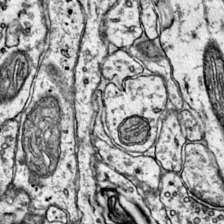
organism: Mouse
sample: Primary visual cortex